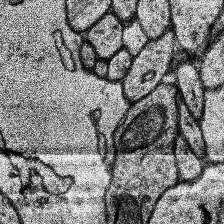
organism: Human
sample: Temporal Lobe